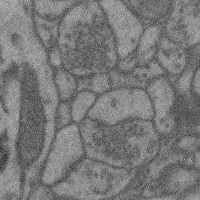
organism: Mouse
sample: Cerebral cortex